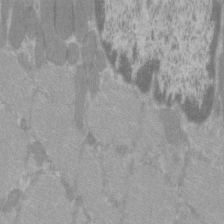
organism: C57BL Mouse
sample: Tibialis anterior muscle cell